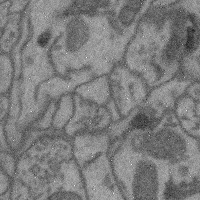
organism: Mouse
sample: Cerebral cortex